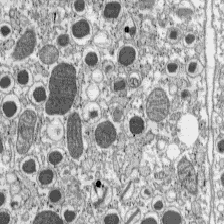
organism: C57BL Mouse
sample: Pancreatic islet